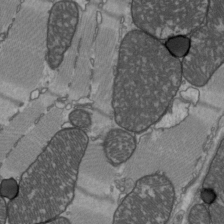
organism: C57BL Mouse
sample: Heart